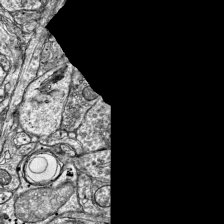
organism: Mouse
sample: Visual Cortex